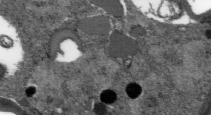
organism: Plasmodium falciparum